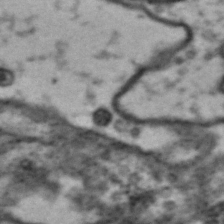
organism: Drosophila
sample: Brain